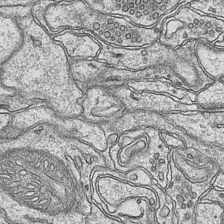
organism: Mouse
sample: CA1 Hippocampus